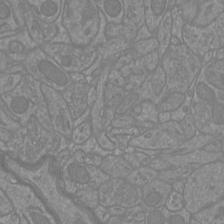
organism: Mouse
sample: Cortical neurons